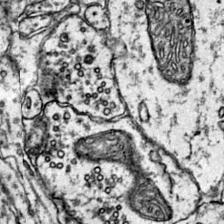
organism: Mouse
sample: Primary visual cortex